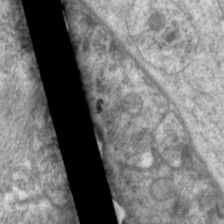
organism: C. elegans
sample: Pharynx